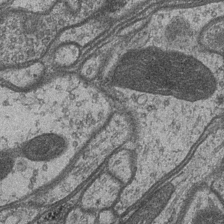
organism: Drosophila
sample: Optic medulla